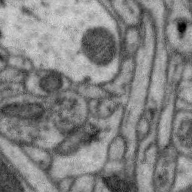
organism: Zebra finch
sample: Brain